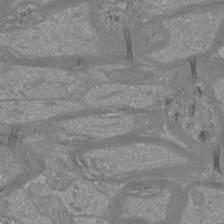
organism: Mouse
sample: Cortical neurons